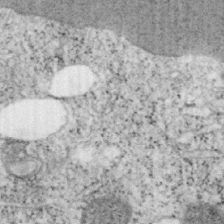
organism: Mouse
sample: OT-I killer T cells with ID8 ovarian cancer cells